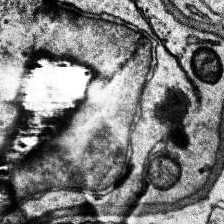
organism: Human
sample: Temporal Lobe